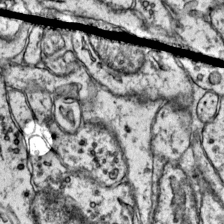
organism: Mouse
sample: Primary visual cortex